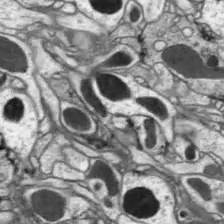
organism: Drosophila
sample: Optic lobe